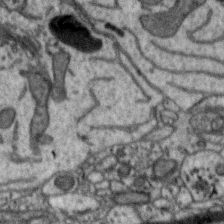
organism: Zebra finch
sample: Brain